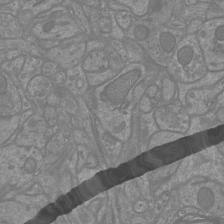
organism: Mouse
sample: Cortical neurons